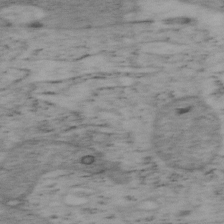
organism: Mouse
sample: OT-I killer T cells with ID8 ovarian cancer cells